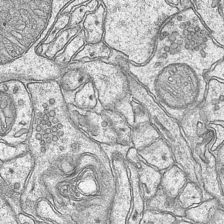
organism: Mouse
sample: CA1 Hippocampus